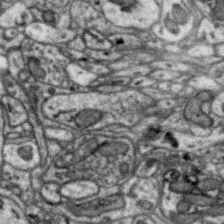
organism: Zebra finch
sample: Brain